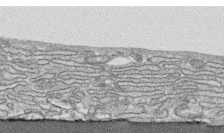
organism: Human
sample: CRL-1474